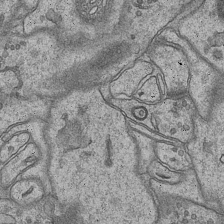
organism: Mouse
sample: CA1 Hippocampus